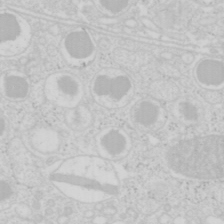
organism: Mouse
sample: Pancreas